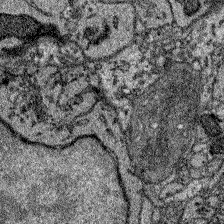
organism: Zebrafish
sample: Larval olfactory bulb